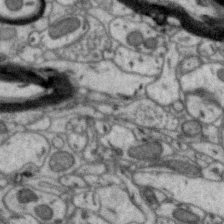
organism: Zebra finch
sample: Brain